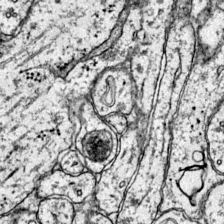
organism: Mouse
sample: Primary visual cortex